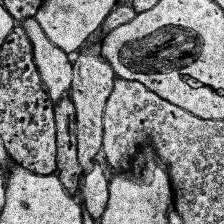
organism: Human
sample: Temporal Lobe